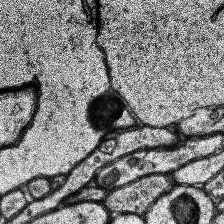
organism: Human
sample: Temporal Lobe